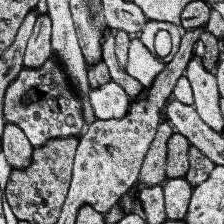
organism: Human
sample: Temporal Lobe